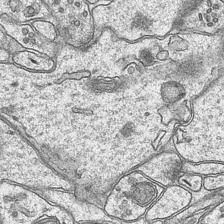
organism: Mouse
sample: CA1 Hippocampus